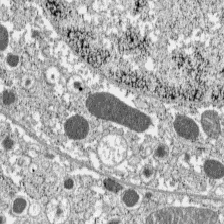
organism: C57BL Mouse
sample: Pancreatic islet